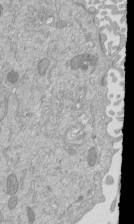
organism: Mouse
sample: ED-1 cell nuclei; centrioles